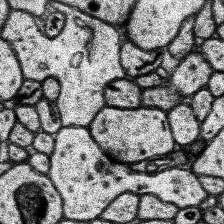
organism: Human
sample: Temporal Lobe